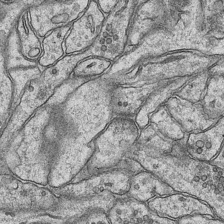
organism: Mouse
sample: CA1 Hippocampus